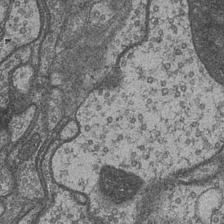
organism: Drosophila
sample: Optic medulla